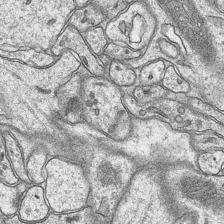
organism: Mouse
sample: CA1 Hippocampus